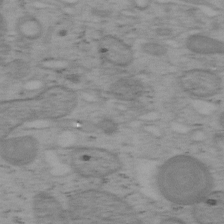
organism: Mouse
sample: OT-I killer T cells with ID8 ovarian cancer cells